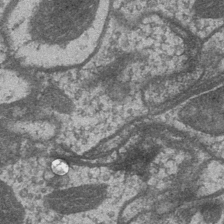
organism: Drosophila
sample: Optic medulla